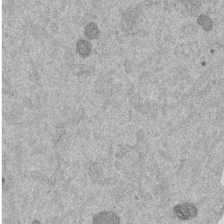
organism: Mouse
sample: Dividing mouse embryo 1 cell stage